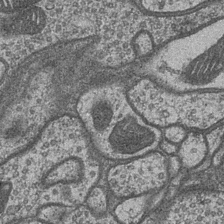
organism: Drosophila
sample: Optic medulla